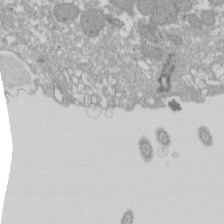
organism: Xenopus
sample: Cilia; centrioles in frog embryo cells